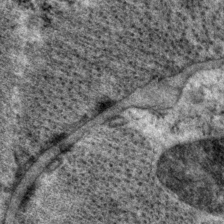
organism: P. pacificus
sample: Pharynx